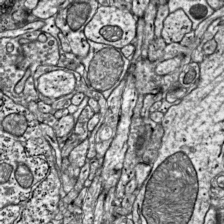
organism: Mouse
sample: Visual Cortex